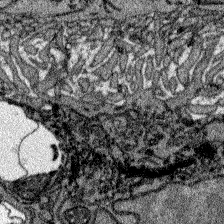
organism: Zebrafish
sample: Larval olfactory bulb